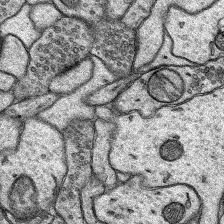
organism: Rat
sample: Hippocampus